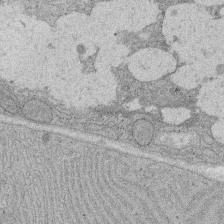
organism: Rat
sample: Salivary granule